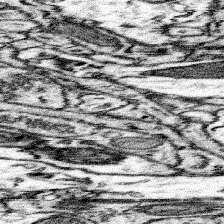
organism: Mouse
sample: Somatosensory cortex neuropil